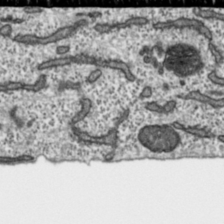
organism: Toxoplasma gondii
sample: Parasites in a vacuole inside a host cell